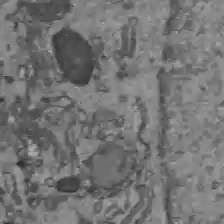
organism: C57BL Mouse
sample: Liver